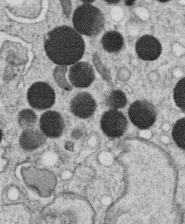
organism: C. elegans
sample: C. elegans oocyte; sperm cells